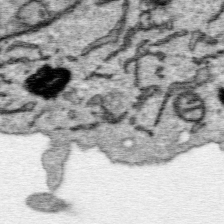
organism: Human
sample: HeLa cells